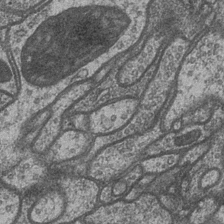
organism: Drosophila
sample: Optic medulla